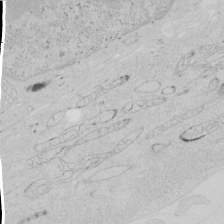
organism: Human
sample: Mitochondria in HCT116 cells